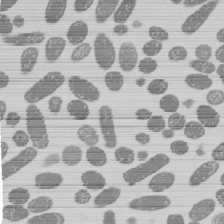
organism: E. coli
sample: Bacterial nucleoid